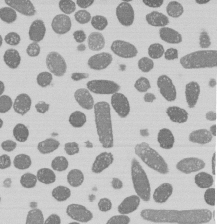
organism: E. coli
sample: Bacterial nucleoid